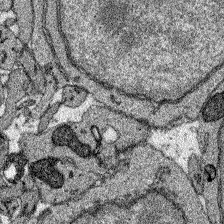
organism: Zebrafish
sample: Larval olfactory bulb